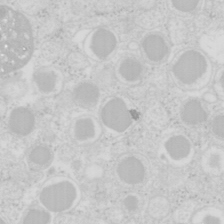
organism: Mouse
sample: Pancreas